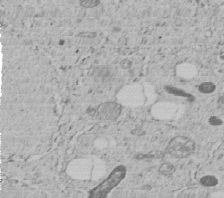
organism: C. elegans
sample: C. elegans embryo early stage